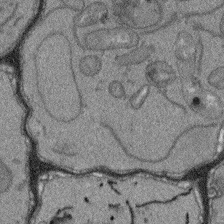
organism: Arabidopsis thaliana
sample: Root tip